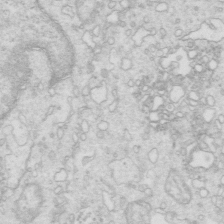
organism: Mouse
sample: Multiciliated cells